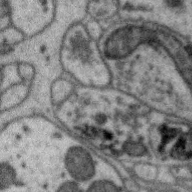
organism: Zebra finch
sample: Brain